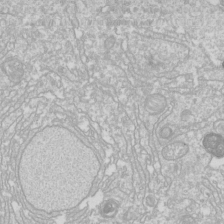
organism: Drosophila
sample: Cell division; meiosis; drosophila spermatocytes